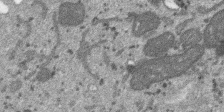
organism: Human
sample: Lung epithelial cells infected with SARS-CoV-2